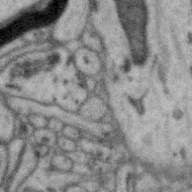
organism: Zebra finch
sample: Brain